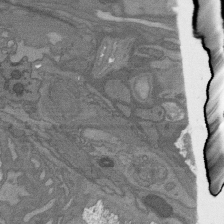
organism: C. elegans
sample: AFD neurons C. elegans